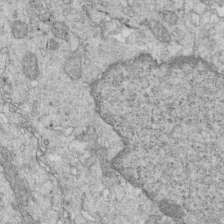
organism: Mouse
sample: Multiciliated cells